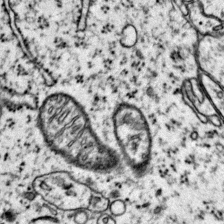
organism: Mouse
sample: Primary visual cortex